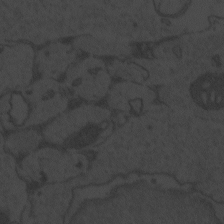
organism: Zebrafish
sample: Macrophage infected with Toxoplasma gondii